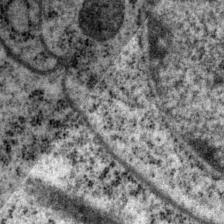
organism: P. pacificus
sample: Pharynx